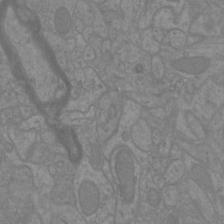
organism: Mouse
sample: Cortical neurons